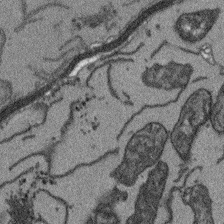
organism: Arabidopsis thaliana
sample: Root tip